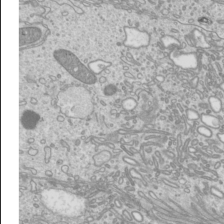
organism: Mouse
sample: Cilia; mouse epididymis